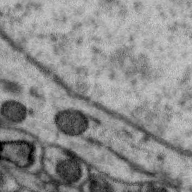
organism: Zebra finch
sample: Brain